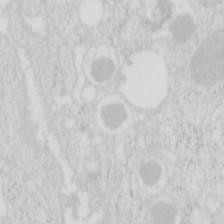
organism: Mouse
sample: Pancreas